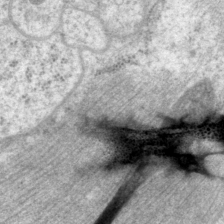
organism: P. pacificus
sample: Pharynx